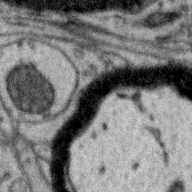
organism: Zebra finch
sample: Brain